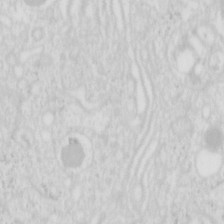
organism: Mouse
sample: Pancreas